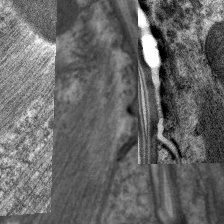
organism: C. elegans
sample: Pharynx